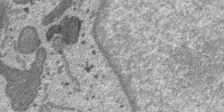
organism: Human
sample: Lung epithelial cells infected with SARS-CoV-2